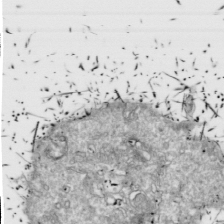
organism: Drosophila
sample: Cell division; meiosis; drosophila spermatocytes